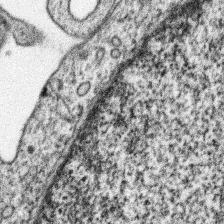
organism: Human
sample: HeLa cells